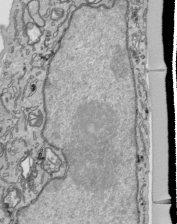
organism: Human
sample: Mitochondria in HCT116 cells